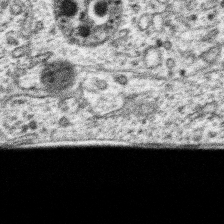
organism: Human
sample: HeLa cells